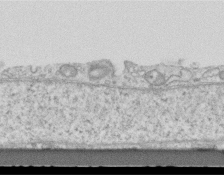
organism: Mouse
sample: Centriole in ependymal cells